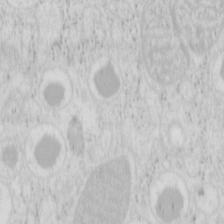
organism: Mouse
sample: Pancreas